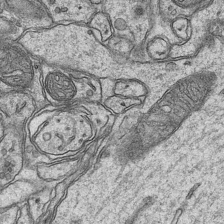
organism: Mouse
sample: CA1 Hippocampus